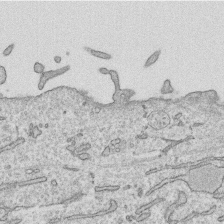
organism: Human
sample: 1205lu cells